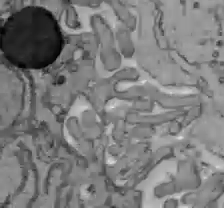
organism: C57BL Mouse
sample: Liver